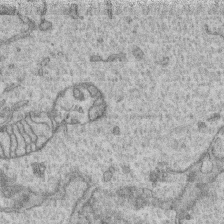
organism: Human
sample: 1205lu cells